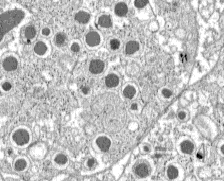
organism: C57BL Mouse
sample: Pancreatic islet